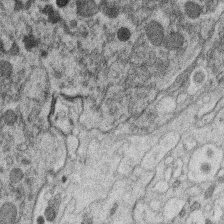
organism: C. elegans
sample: C. elegans oocyte; sperm cells